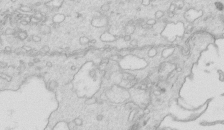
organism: Mouse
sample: Multiciliated cells